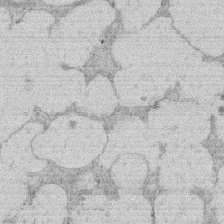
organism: Rat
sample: Salivary granule